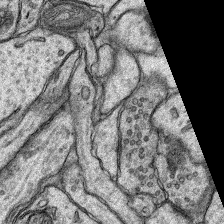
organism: Rat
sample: Hippocampus